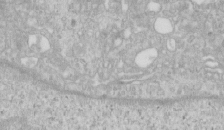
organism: Human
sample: Centriole in RPE cells